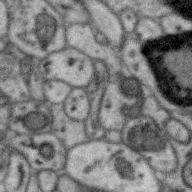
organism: Zebra finch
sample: Brain